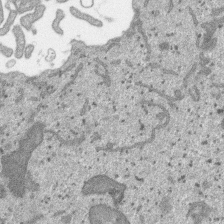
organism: Human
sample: Lung epithelial cells infected with SARS-CoV-2